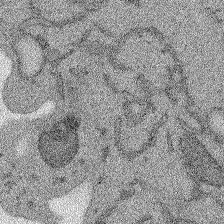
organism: Human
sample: HeLa cells